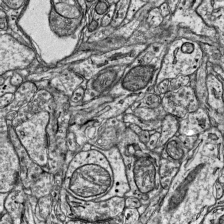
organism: Mouse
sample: Visual Cortex